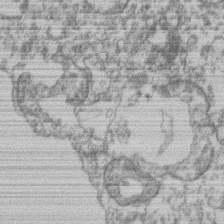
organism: Mouse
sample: T cell stromal cell synapse